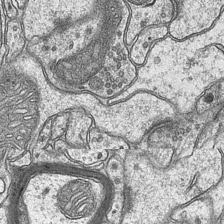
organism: Mouse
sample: CA1 Hippocampus